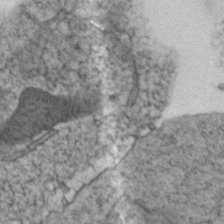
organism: Zebrafish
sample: Zebrafish embryo